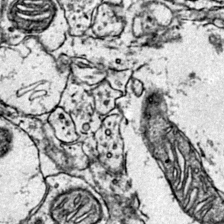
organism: Mouse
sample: Primary visual cortex